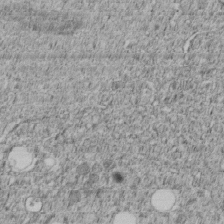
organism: C. elegans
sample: C. elegans embryo early stage